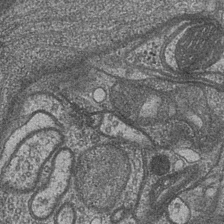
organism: Drosophila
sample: Optic medulla